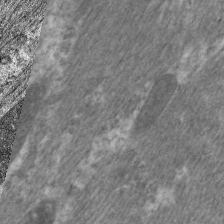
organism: C. elegans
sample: Pharynx